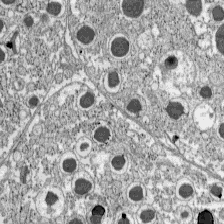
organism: C57BL Mouse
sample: Pancreatic islet